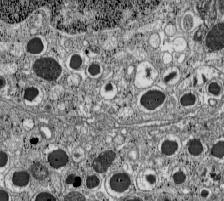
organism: C57BL Mouse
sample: Pancreatic islet